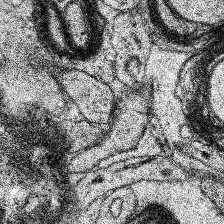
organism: Human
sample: Temporal Lobe